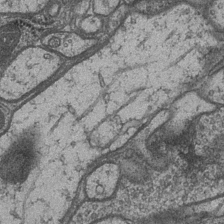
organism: Drosophila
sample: Optic medulla